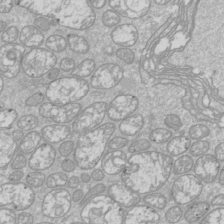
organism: Drosophila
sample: Cell division; meiosis; drosophila spermatocytes